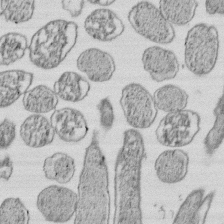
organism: E. coli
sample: Bacterial nucleoid